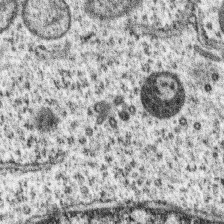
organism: Human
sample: HeLa cells